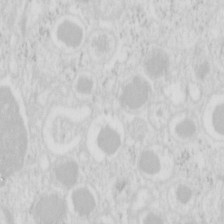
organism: Mouse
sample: Pancreas